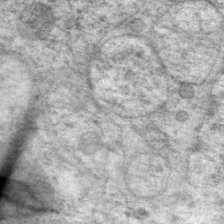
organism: P. pacificus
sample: Pharynx